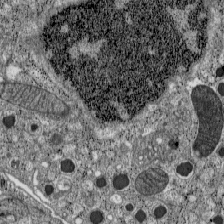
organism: C57BL Mouse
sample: Pancreatic islet